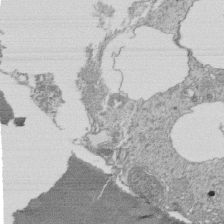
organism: Tetrahymena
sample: Cilia in tetrahymena